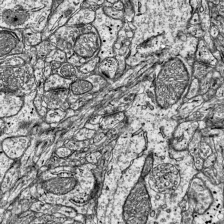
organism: Mouse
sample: Visual Cortex